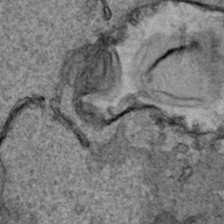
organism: Human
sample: Mitochondria in HCT116 cells